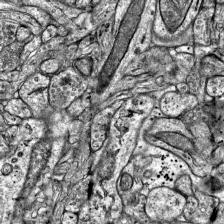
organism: Mouse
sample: Visual Cortex